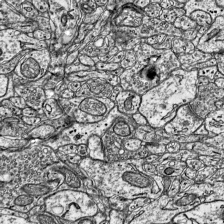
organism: Mouse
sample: Visual Cortex